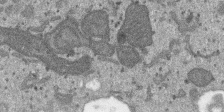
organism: Human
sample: Lung epithelial cells infected with SARS-CoV-2